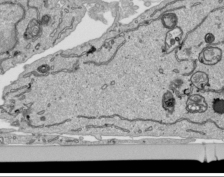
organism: Human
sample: Mitochondria in HCT116 cells